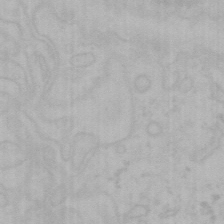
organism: Mouse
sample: Choroid plexus